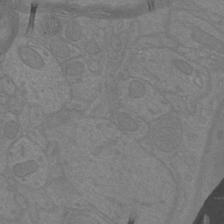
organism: Mouse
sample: Cortical neurons